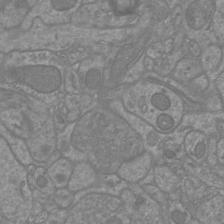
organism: Mouse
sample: Cortical neurons